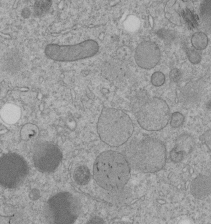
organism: C. elegans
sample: C. elegans embryo early stage